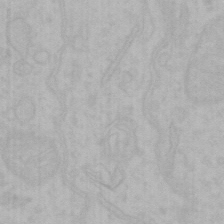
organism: Mouse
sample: Choroid plexus